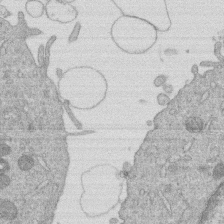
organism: Human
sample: Macrophage cells